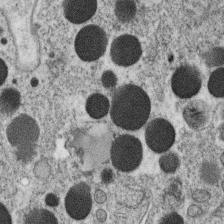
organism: C. elegans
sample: C. elegans oocyte; sperm cells